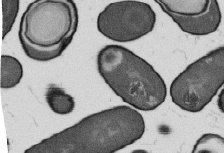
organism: B. subtilis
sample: Bacterial spore